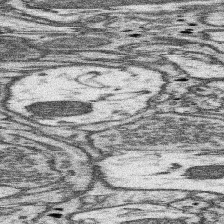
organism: Mouse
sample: Somatosensory cortex neuropil